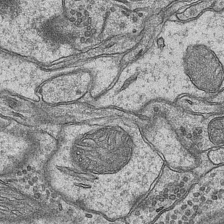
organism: Mouse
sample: CA1 Hippocampus